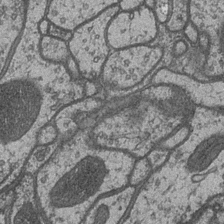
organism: Drosophila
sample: Optic medulla